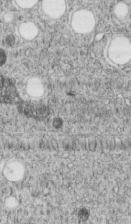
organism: C. elegans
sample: C. elegans embryo early stage